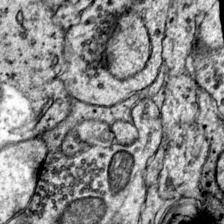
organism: Mouse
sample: Primary visual cortex